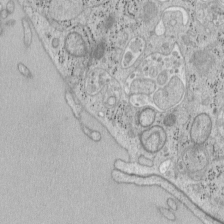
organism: Mouse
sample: OT-I killer T cells with ID8 ovarian cancer cells